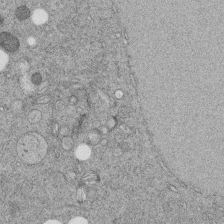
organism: C. elegans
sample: C. elegans embryo early stage